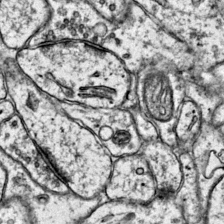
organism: Mouse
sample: Primary visual cortex